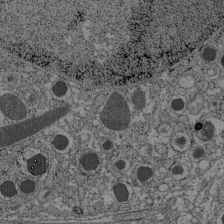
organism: C57BL Mouse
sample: Pancreatic islet